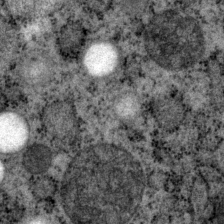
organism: P. pacificus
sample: Pharynx